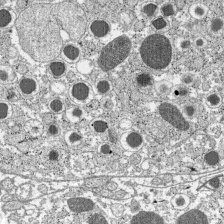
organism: C57BL Mouse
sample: Pancreatic islet